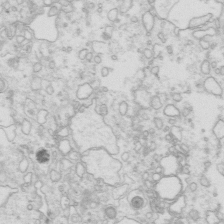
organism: Mouse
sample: Multiciliated cells